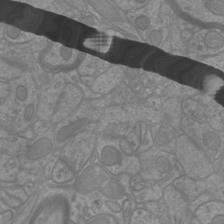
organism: Mouse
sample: Cortical neurons